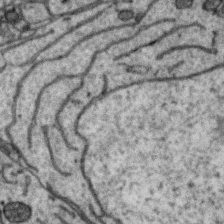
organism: Zebra finch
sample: Brain